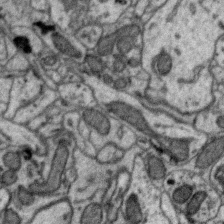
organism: Zebra finch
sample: Brain